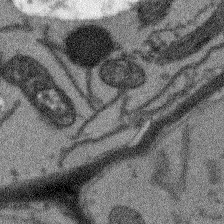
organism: Arabidopsis thaliana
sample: Root tip